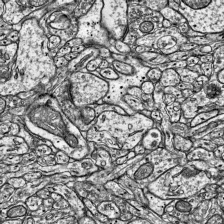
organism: Mouse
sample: Visual Cortex